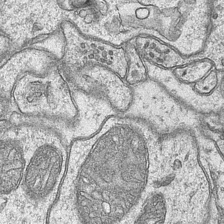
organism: Mouse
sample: CA1 Hippocampus